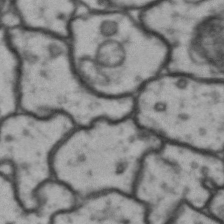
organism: Drosophila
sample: Brain